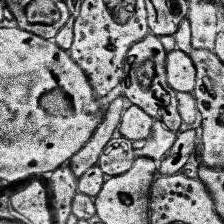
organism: Human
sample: Temporal Lobe